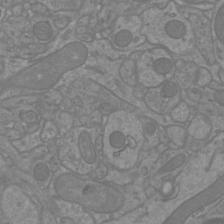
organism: Mouse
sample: Cortical neurons